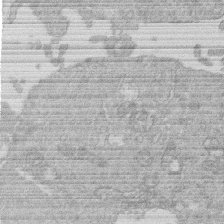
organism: Human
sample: Macrophage cells